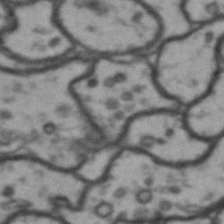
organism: Drosophila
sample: Brain